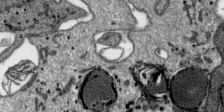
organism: Human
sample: Lung epithelial cells, uninfected (mock) control